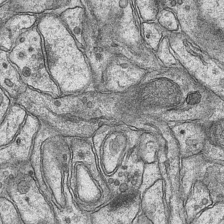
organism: Mouse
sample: CA1 Hippocampus